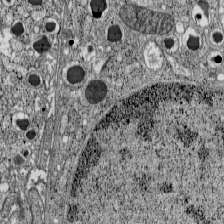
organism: C57BL Mouse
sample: Pancreatic islet